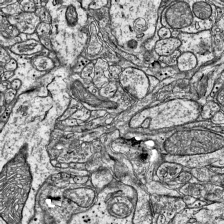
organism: Mouse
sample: Visual Cortex